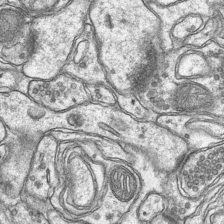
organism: Mouse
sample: CA1 Hippocampus